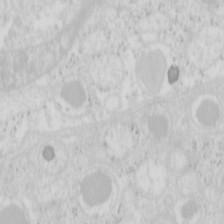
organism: Mouse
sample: Pancreas